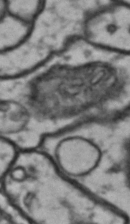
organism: Drosophila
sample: Brain